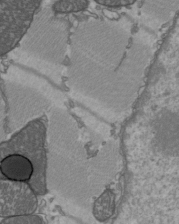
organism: C57BL Mouse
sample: Heart